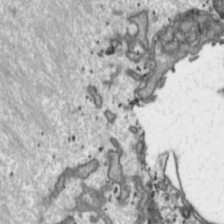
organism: Toxoplasma gondii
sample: Parasites in a vacuole inside a host cell